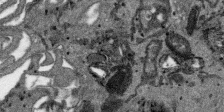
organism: Human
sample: Lung epithelial cells, uninfected (mock) control